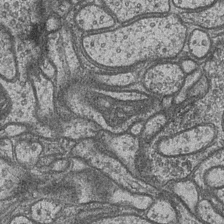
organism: Drosophila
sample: Optic medulla